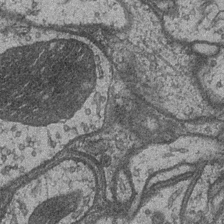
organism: Drosophila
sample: Optic medulla